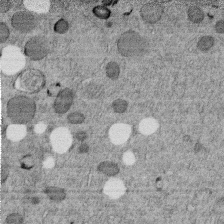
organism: C. elegans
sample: C. elegans embryo early stage